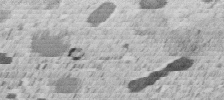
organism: C. elegans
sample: C. elegans embryo early stage